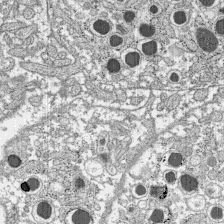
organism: C57BL Mouse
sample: Pancreatic islet